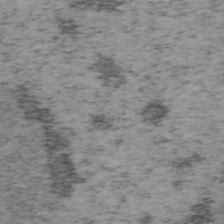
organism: Mouse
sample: OT-I killer T cells with ID8 ovarian cancer cells